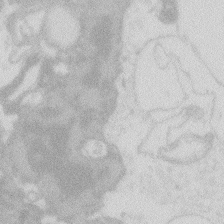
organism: Zebrafish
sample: Macrophage